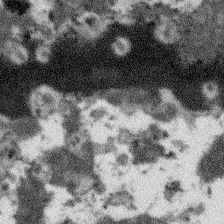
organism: Arabidopsis thaliana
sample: Root tip